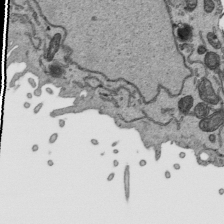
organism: Human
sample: Mitochondria in HCT116 cells